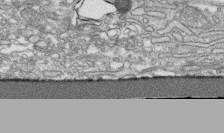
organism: Human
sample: CRL-1474